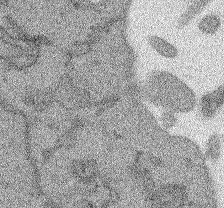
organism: Human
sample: HeLa cells